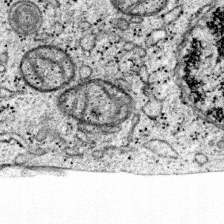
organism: Human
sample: HeLa cells